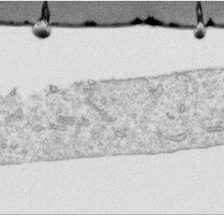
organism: Human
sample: Centriole in RPE cells